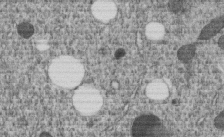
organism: C. elegans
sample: C. elegans embryo early stage